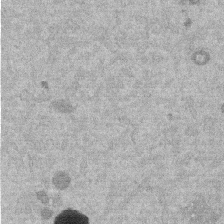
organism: Mouse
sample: Dividing mouse embryo 1 cell stage